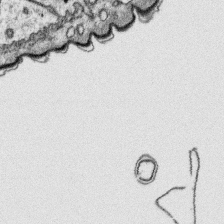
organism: Platynereis dumerilii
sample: Parapodia